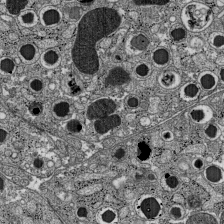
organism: C57BL Mouse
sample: Pancreatic islet